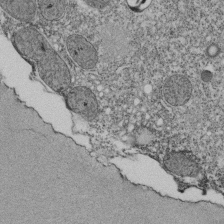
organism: Tetrahymena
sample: Cilia in tetrahymena